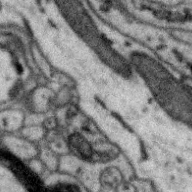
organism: Zebra finch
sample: Brain